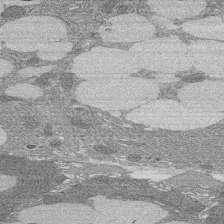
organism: Rat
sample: Salivary granule